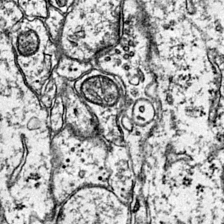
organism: Mouse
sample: Primary visual cortex